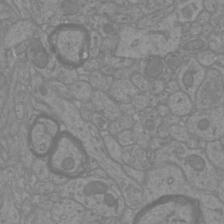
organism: Mouse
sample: Cortical neurons